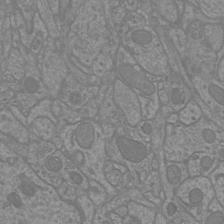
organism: Mouse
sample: Cortical neurons